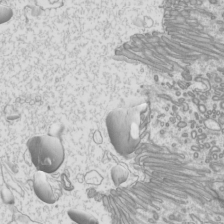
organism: Mouse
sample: Cilia; mouse epididymis